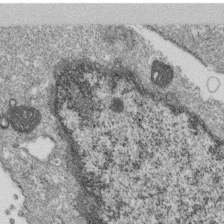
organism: African green monkey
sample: Vero E6 cells infected with SARS-CoV-2